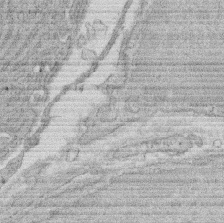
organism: Rat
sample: Salivary granule